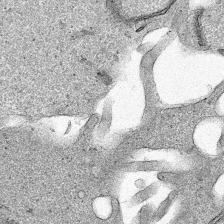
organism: Human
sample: Mitochondria in HCT116 cells